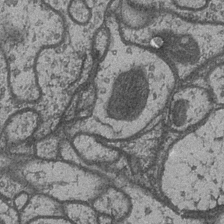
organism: Drosophila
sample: Optic medulla